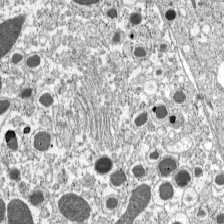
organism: C57BL Mouse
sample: Pancreatic islet